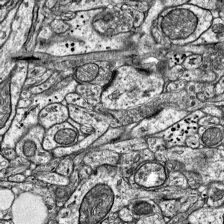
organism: Mouse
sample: Visual Cortex